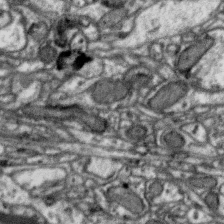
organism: Zebra finch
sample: Brain